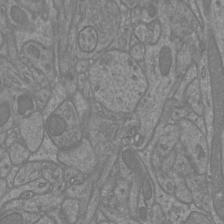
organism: Mouse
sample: Cortical neurons